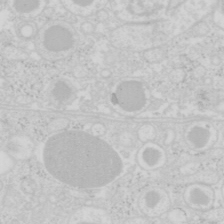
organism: Mouse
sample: Pancreas